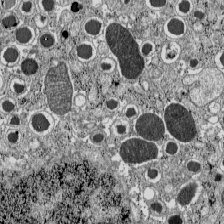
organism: C57BL Mouse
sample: Pancreatic islet